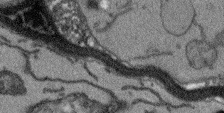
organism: Arabidopsis thaliana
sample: Root tip